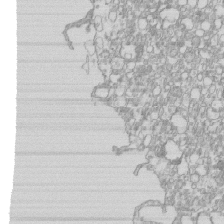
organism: Mouse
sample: Macrophages